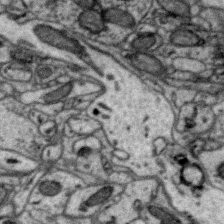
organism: Zebra finch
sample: Brain